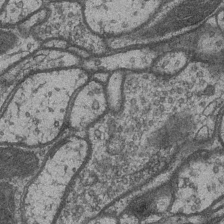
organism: Drosophila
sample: Optic medulla